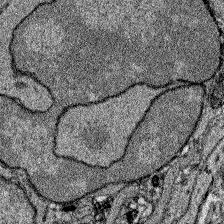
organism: Zebrafish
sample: Larval olfactory bulb